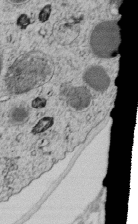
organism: C. elegans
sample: C. elegans embryo early stage